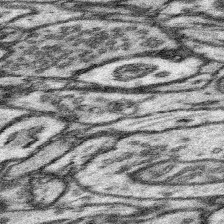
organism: Mouse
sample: Somatosensory cortex neuropil